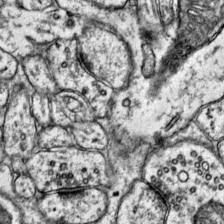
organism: Mouse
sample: Primary visual cortex